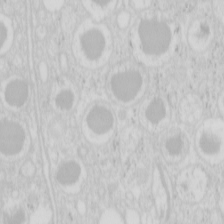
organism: Mouse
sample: Pancreas